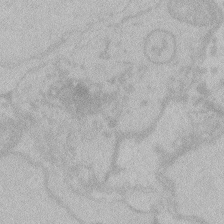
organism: Zebrafish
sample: Macrophage infected with Toxoplasma gondii